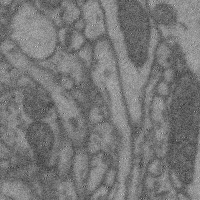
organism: Mouse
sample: Cerebral cortex